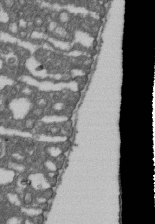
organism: Drosophila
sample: Nephrocyte